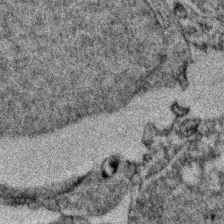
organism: Zebrafish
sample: Zebrafish embryo